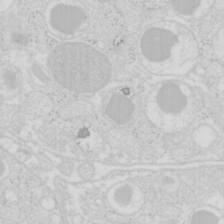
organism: Mouse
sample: Pancreas